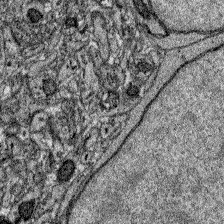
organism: Zebrafish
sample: Larval olfactory bulb